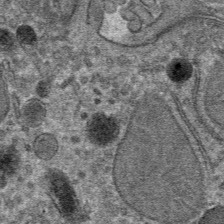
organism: Mouse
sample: Mouse hepatocytes